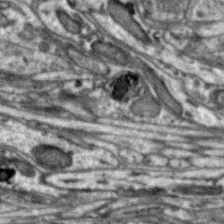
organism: Zebra finch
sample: Brain